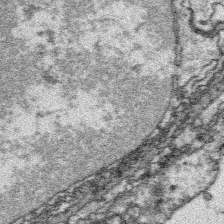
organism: Platynereis dumerilii